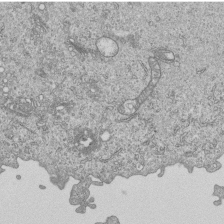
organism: Human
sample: MDA-MB-231 cells